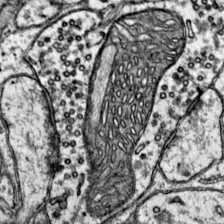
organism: Mouse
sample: Primary visual cortex